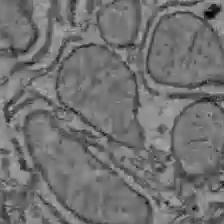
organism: C57BL Mouse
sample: Liver